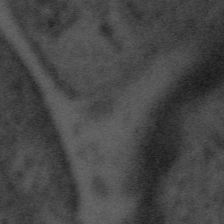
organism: Tuwongella immobilis